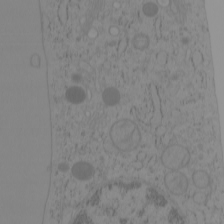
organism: Human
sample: HeLa cells